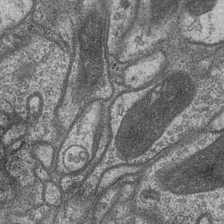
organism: Drosophila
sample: Optic medulla